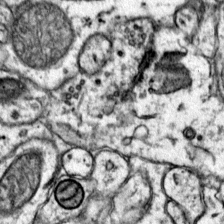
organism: Mouse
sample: Primary visual cortex